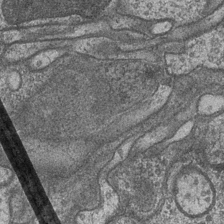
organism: Drosophila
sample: Optic medulla